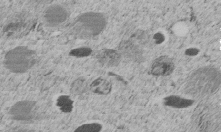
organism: C. elegans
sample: C. elegans embryo early stage